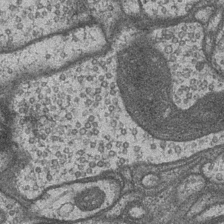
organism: Drosophila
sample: Optic medulla